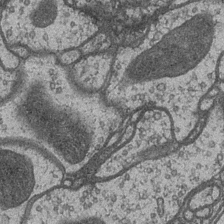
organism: Drosophila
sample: Optic medulla